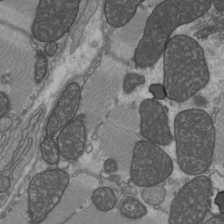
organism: C57BL Mouse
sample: Heart